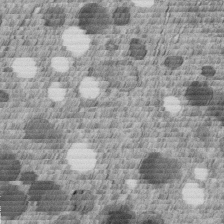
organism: C. elegans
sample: C. elegans embryo early stage